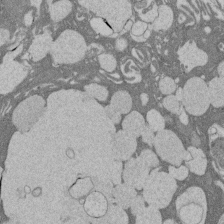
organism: Rat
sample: Salivary granule